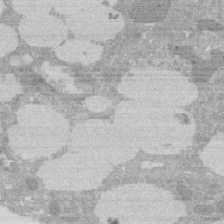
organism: Rat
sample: Salivary granule